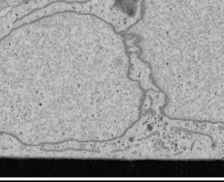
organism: Human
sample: Mitochondria in U2OS cells